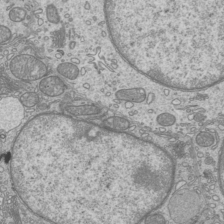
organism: Mouse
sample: Cilia; mouse epididymis